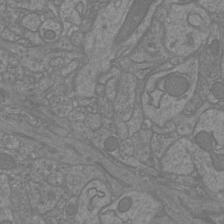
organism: Mouse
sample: Cortical neurons